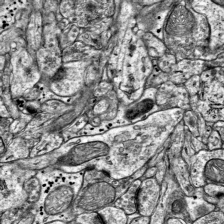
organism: Mouse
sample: Visual Cortex